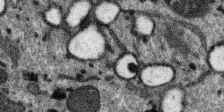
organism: Human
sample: Lung epithelial cells infected with SARS-CoV-2